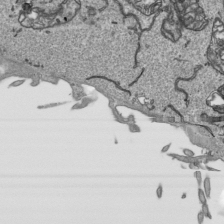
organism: Human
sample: Mitochondria in HCT116 cells